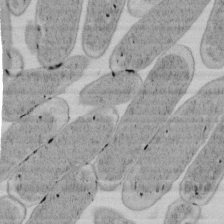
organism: E. coli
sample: Bacterial nucleoid